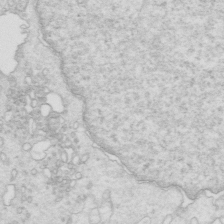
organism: Mouse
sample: Multiciliated cells